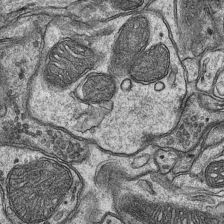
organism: Mouse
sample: CA1 Hippocampus